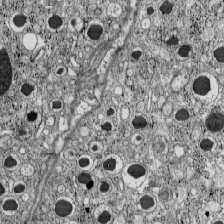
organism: C57BL Mouse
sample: Pancreatic islet